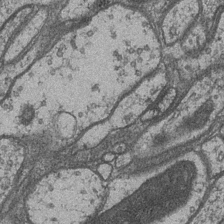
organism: Drosophila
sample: Optic medulla